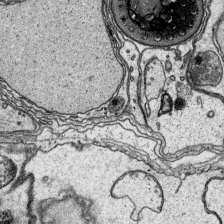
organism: Platynereis dumerilii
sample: Parapodia